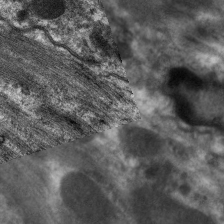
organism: C. elegans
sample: Pharynx